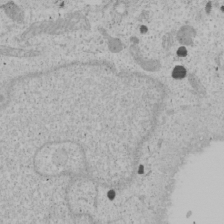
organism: Human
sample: Mitochondria in U2OS cells